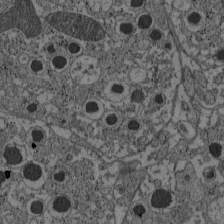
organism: C57BL Mouse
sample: Pancreatic islet